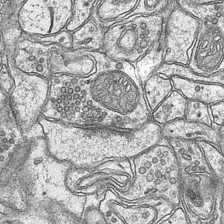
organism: Mouse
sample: CA1 Hippocampus